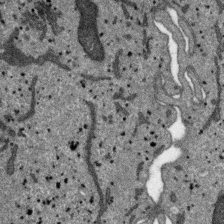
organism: Human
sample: Lung epithelial cells, uninfected (mock) control